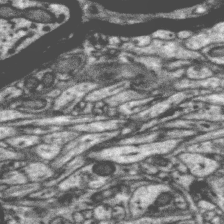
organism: Zebra finch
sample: Brain